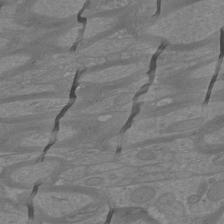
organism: Mouse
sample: Cortical neurons